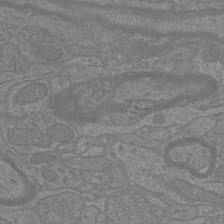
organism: Mouse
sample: Cortical neurons